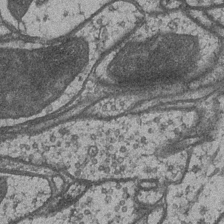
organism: Drosophila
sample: Optic medulla